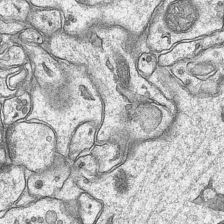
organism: Mouse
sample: CA1 Hippocampus